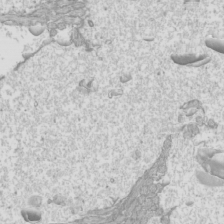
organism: Mouse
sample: Cilia; mouse epididymis